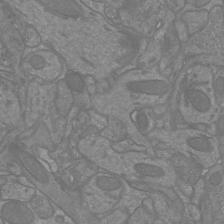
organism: Mouse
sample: Cortical neurons